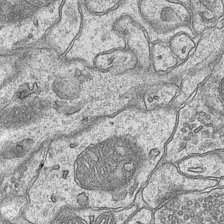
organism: Mouse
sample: CA1 Hippocampus